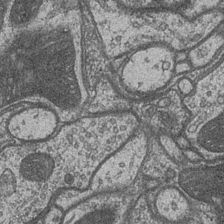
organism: Drosophila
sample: Optic medulla